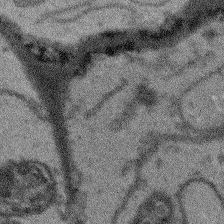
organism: Arabidopsis thaliana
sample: Root tip